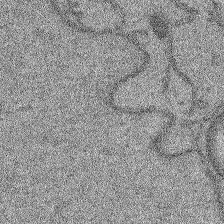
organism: Human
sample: HeLa cells